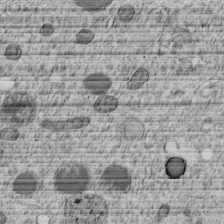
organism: C. elegans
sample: C. elegans embryo early stage